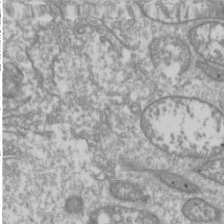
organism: Drosophila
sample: Cell division; meiosis; drosophila spermatocytes